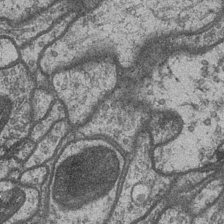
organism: Drosophila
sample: Optic medulla